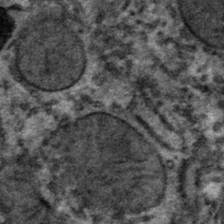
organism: Mouse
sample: Mouse hepatocytes